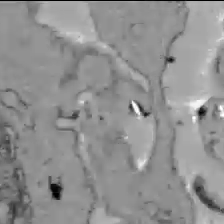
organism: C57BL Mouse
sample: Liver